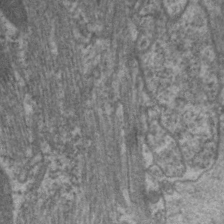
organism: C. elegans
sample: Pharynx